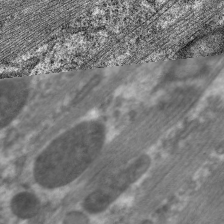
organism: C. elegans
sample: Pharynx